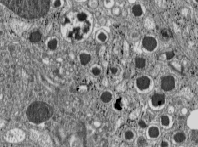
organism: C57BL Mouse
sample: Pancreatic islet